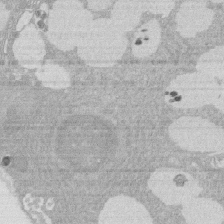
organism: Rat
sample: Salivary granule